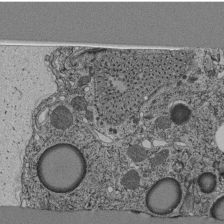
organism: C. elegans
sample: C. elegans pharynx